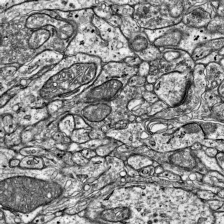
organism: Mouse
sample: Visual Cortex